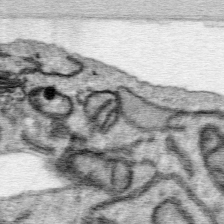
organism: Human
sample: HeLa cells